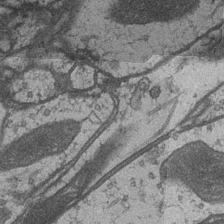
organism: Drosophila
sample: Optic medulla